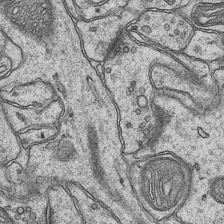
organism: Mouse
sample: CA1 Hippocampus